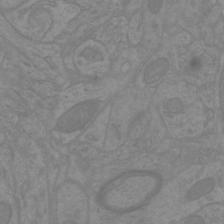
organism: Mouse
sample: Cortical neurons